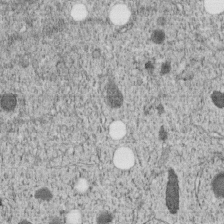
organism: C. elegans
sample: C. elegans embryo early stage